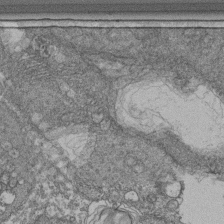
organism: Human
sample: Retinal organoid Rod and Cone cells